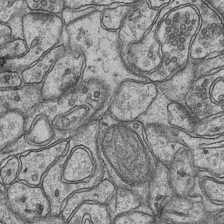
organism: Mouse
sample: CA1 Hippocampus